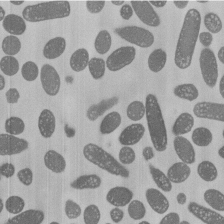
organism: E. coli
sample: Bacterial nucleoid